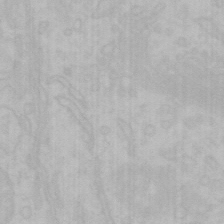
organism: Mouse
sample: Choroid plexus